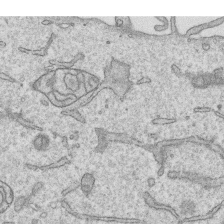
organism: Human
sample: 1205lu cells